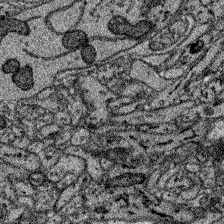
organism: Zebrafish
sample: Larval olfactory bulb